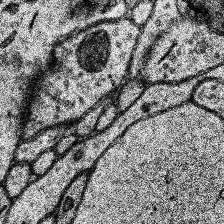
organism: Human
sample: Temporal Lobe